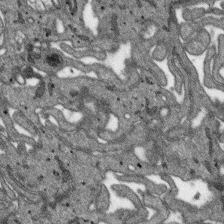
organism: Human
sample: Lung epithelial cells, uninfected (mock) control